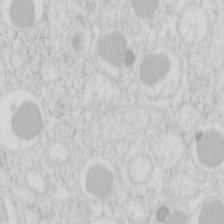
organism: Mouse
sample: Pancreas